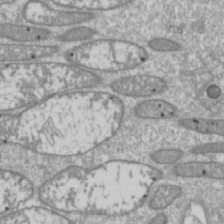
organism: Drosophila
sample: Cell division; meiosis; drosophila spermatocytes